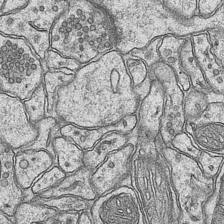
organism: Mouse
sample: CA1 Hippocampus